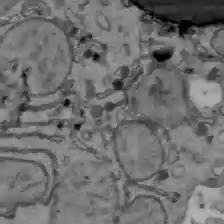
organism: C57BL Mouse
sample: Liver